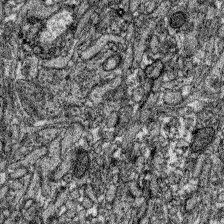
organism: Zebrafish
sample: Larval olfactory bulb